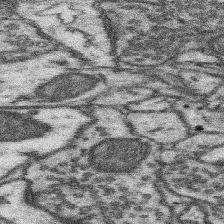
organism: Mouse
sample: Somatosensory cortex neuropil